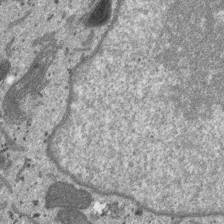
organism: Human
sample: Lung epithelial cells infected with SARS-CoV-2